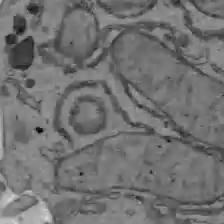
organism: C57BL Mouse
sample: Liver